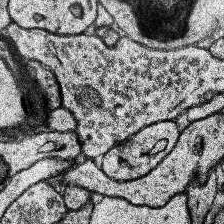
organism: Human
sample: Temporal Lobe